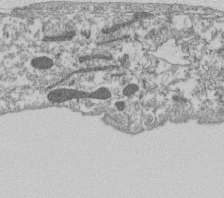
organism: Dictyostelium discoideum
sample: Dictyostelium multivesicular bodies